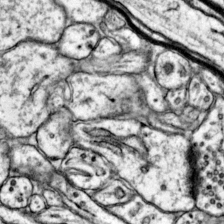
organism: Mouse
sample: Primary visual cortex